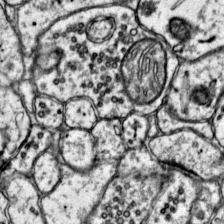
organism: Mouse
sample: Primary visual cortex